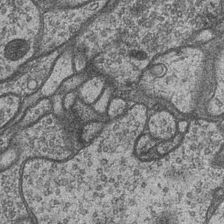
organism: Drosophila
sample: Optic medulla